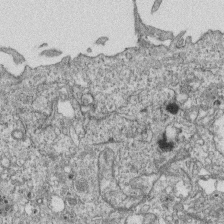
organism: Human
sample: HeLa cell HIV synapse